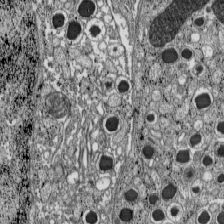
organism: C57BL Mouse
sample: Pancreatic islet